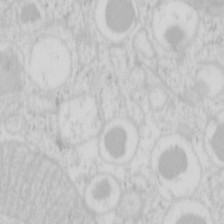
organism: Mouse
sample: Pancreas